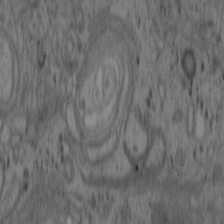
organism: Human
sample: HeLa cells